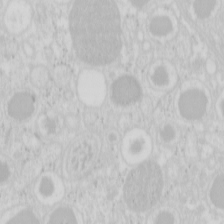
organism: Mouse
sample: Pancreas